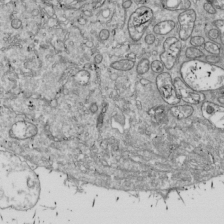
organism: Drosophila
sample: Cell division; meiosis; drosophila spermatocytes